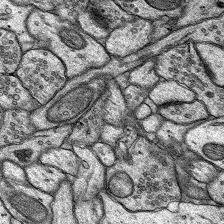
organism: Rat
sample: Hippocampus